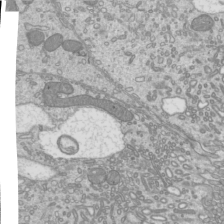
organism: Mouse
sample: Cilia; mouse epididymis